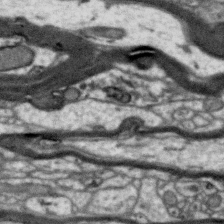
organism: Zebra finch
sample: Brain